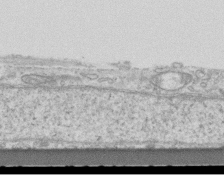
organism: Mouse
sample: Centriole in ependymal cells